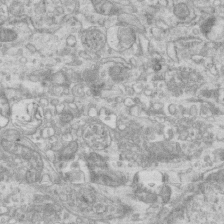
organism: Mouse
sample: Centriole in ependymal cells